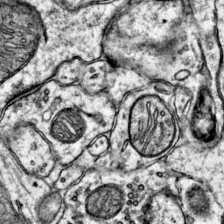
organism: Mouse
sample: Primary visual cortex